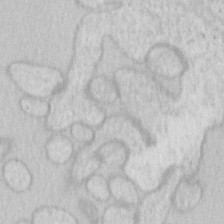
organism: Human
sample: HeLa cells